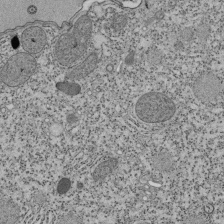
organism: Tetrahymena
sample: Cilia in tetrahymena